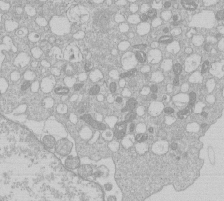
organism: Human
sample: Macrophage cells